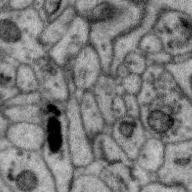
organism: Zebra finch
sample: Brain